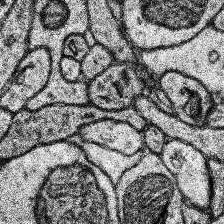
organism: Human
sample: Temporal Lobe